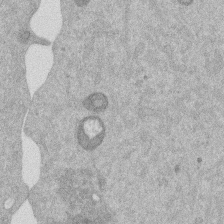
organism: Mouse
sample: Dividing mouse embryo 1 cell stage